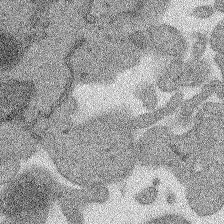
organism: Human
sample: HeLa cells